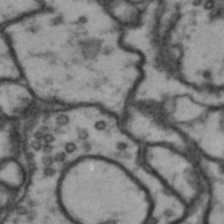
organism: Drosophila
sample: Brain